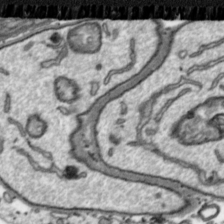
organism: Toxoplasma gondii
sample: Parasites in a vacuole inside a host cell